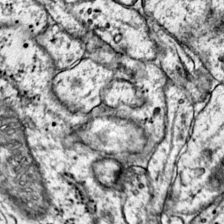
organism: Mouse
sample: Primary visual cortex